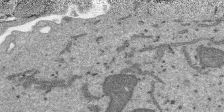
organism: Human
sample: Lung epithelial cells infected with SARS-CoV-2